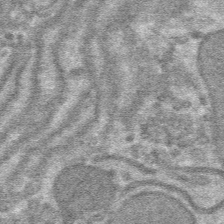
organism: Mouse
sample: Mouse hepatocytes